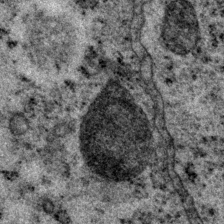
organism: P. pacificus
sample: Pharynx